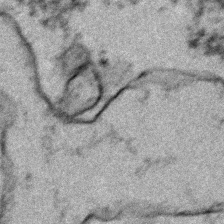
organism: Zebrafish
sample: Zebrafish embryo